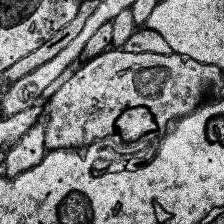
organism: Human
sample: Temporal Lobe